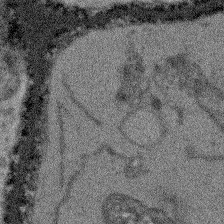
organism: Arabidopsis thaliana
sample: Root tip